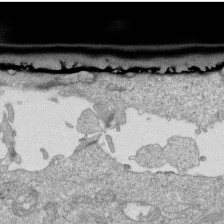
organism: Human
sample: HeLa cell HIV synapse